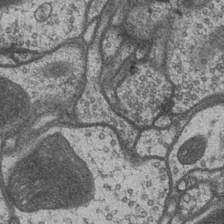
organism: Drosophila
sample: Optic medulla